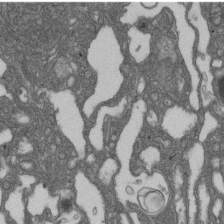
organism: Drosophila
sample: Nephrocyte